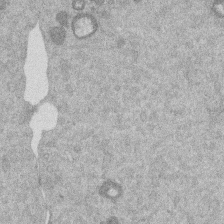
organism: Mouse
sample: Dividing mouse embryo 1 cell stage